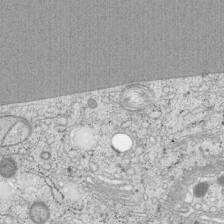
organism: African green monkey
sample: COS-7 cells